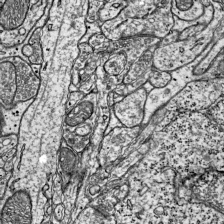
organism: Mouse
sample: Visual Cortex